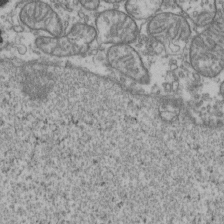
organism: Human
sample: Activated Jurkat CD4+ T cells